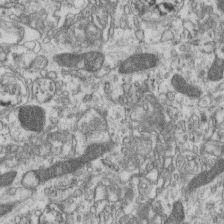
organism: Mouse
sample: Centriole in ependymal cells